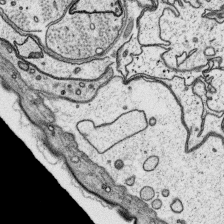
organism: Platynereis dumerilii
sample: Parapodia